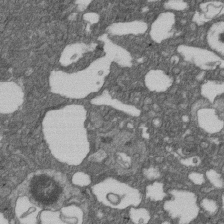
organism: Drosophila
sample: Nephrocyte